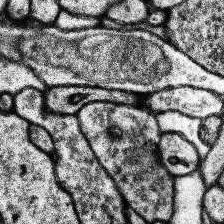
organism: Human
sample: Temporal Lobe